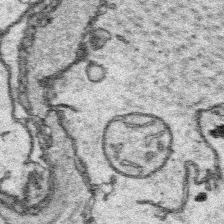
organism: Platynereis dumerilii